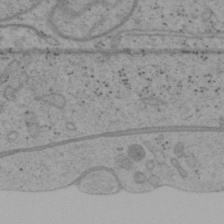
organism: Human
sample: HeLa cells